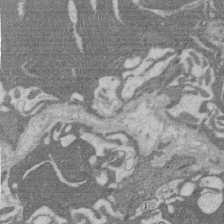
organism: Rat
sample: Salivary granule